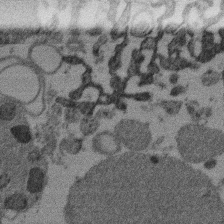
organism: Mouse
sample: Dividing mouse embryo 1 cell stage